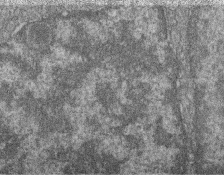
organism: Zebrafish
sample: Cilia; retinal pigment epithelium